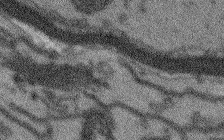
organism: Arabidopsis thaliana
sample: Root tip